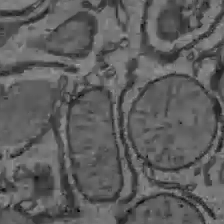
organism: C57BL Mouse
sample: Liver